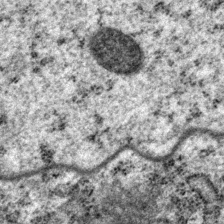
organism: P. pacificus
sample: Pharynx